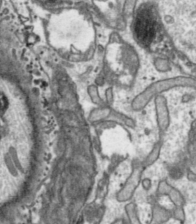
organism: Toxoplasma gondii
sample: Parasites in a vacuole inside a host cell